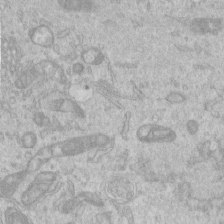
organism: Human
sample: Centriole in RPE cells